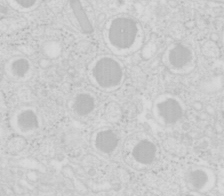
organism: Mouse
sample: Pancreas